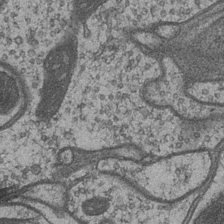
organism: Drosophila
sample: Optic medulla